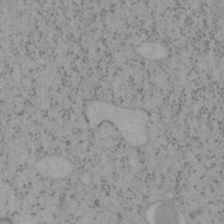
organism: Mouse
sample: OT-I killer T cells with ID8 ovarian cancer cells